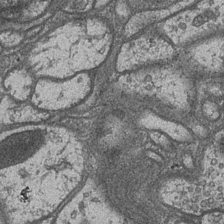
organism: Drosophila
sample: Optic medulla